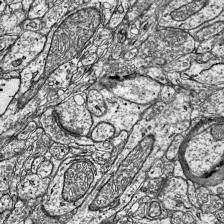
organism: Mouse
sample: Visual Cortex